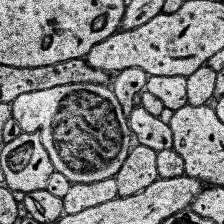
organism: Human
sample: Temporal Lobe